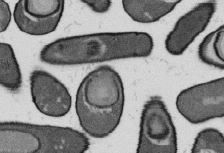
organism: B. subtilis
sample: Bacterial spore